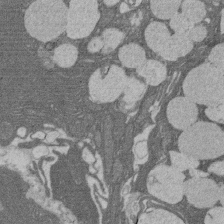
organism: Rat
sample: Salivary granule